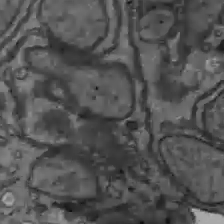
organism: C57BL Mouse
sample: Liver